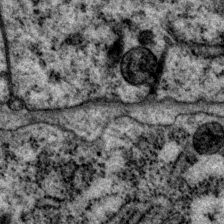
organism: P. pacificus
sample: Pharynx